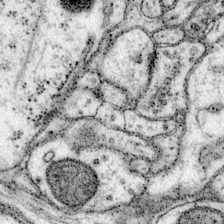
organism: Mouse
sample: Primary visual cortex